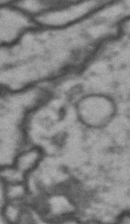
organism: Drosophila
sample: Brain